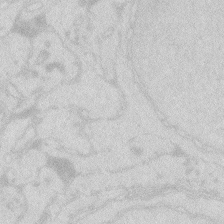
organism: Zebrafish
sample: Macrophage